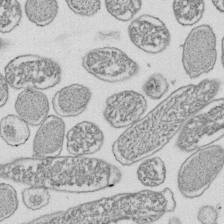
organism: E. coli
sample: Bacterial nucleoid